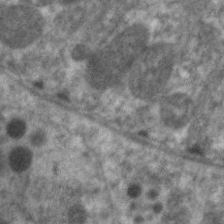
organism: C. elegans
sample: Pharynx